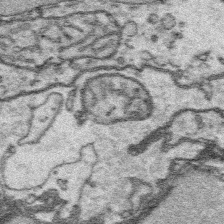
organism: Platynereis dumerilii